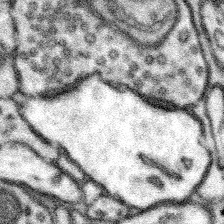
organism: Mouse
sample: Somatosensory cortex neuropil